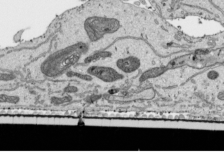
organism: Human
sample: Mitochondria in HCT116 cells